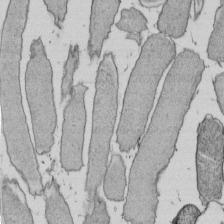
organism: E. coli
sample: Bacterial nucleoid